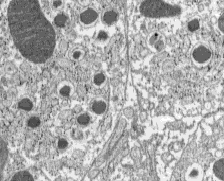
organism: C57BL Mouse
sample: Pancreatic islet